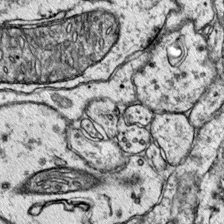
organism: Mouse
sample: Primary visual cortex